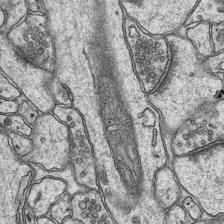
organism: Mouse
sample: CA1 Hippocampus